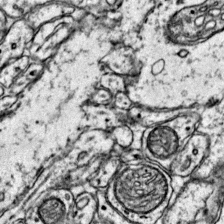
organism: Mouse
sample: Primary visual cortex